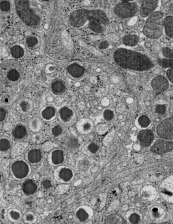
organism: C57BL Mouse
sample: Pancreatic islet